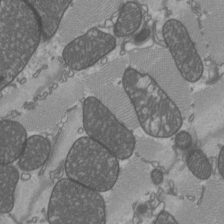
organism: C57BL Mouse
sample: Heart